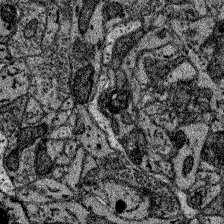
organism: Zebrafish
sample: Larval olfactory bulb